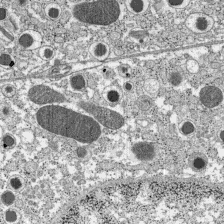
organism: C57BL Mouse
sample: Pancreatic islet